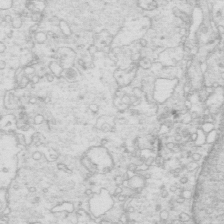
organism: Mouse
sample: Multiciliated cells